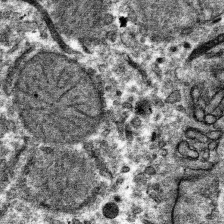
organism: Mouse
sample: Mouse hepatocytes